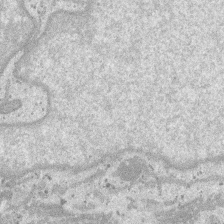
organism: Human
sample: Lung epithelial cells infected with SARS-CoV-2